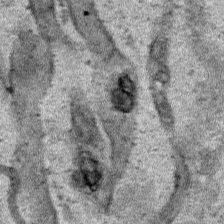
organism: Human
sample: Mitochondria in HCT116 cells